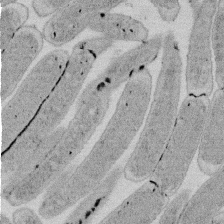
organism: E. coli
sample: Bacterial nucleoid